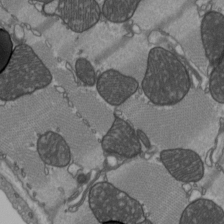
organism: C57BL Mouse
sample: Heart